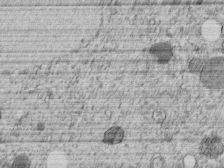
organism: C. elegans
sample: C. elegans embryo early stage